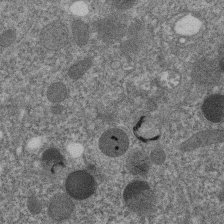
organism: C. elegans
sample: C. elegans embryo early stage